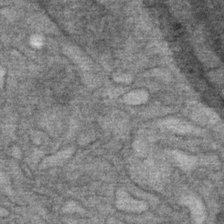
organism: Mouse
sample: Mouse Salivary gland